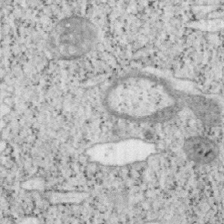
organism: Mouse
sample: OT-I killer T cells with ID8 ovarian cancer cells